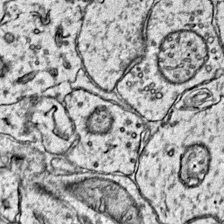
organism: Mouse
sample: Primary visual cortex